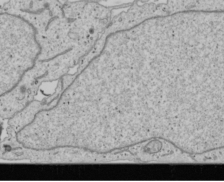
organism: Human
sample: Mitochondria in U2OS cells